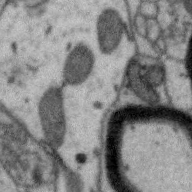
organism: Zebra finch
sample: Brain